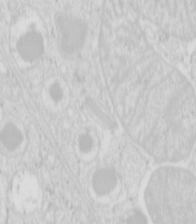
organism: Mouse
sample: Pancreas